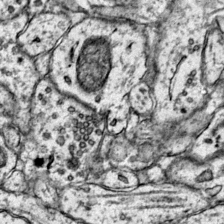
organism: Mouse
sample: Primary visual cortex